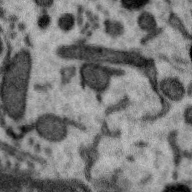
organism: Zebra finch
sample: Brain